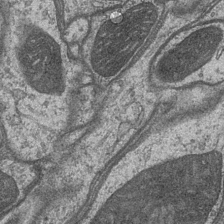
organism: Drosophila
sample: Optic medulla